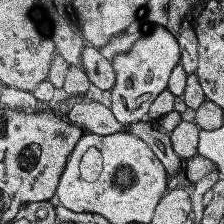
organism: Human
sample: Temporal Lobe